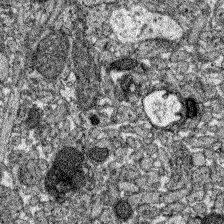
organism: Zebrafish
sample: Larval olfactory bulb